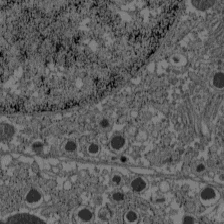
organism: C57BL Mouse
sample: Pancreatic islet